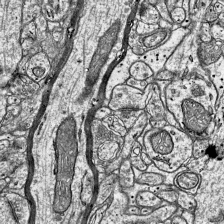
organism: Mouse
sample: Visual Cortex